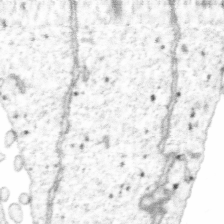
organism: Human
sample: HeLa cells